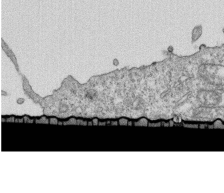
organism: Human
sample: HeLa cell HIV synapse